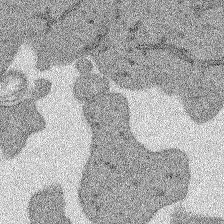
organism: Human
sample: HeLa cells